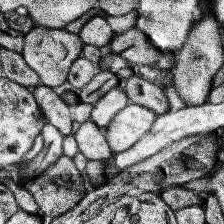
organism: Human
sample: Temporal Lobe